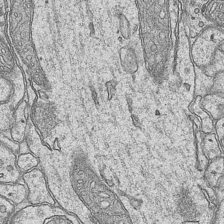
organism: Mouse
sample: CA1 Hippocampus